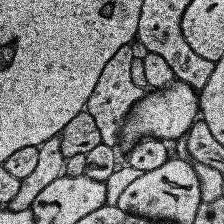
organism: Human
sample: Temporal Lobe